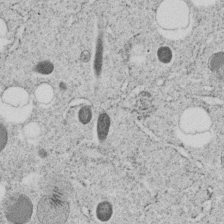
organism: C. elegans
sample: C. elegans embryo early stage